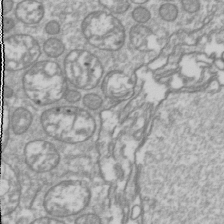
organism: Drosophila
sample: Cell division; meiosis; drosophila spermatocytes